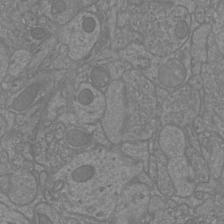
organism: Mouse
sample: Cortical neurons